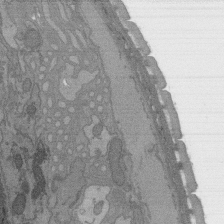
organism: C. elegans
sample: AFD neurons C. elegans